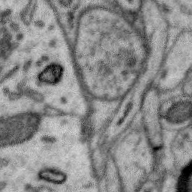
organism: Zebra finch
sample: Brain